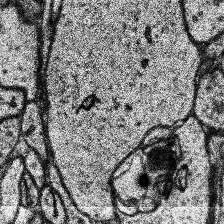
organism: Human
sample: Temporal Lobe